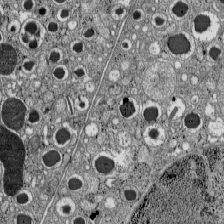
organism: C57BL Mouse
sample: Pancreatic islet